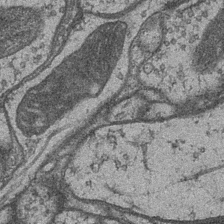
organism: Drosophila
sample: Optic medulla